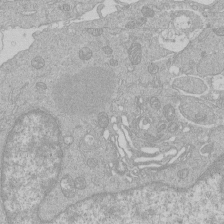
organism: Human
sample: Macrophage cells